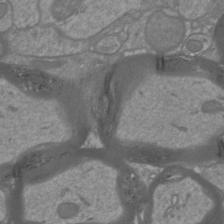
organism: Mouse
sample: Cortical neurons